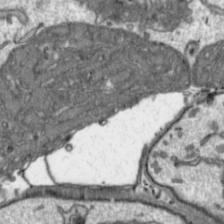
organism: Toxoplasma gondii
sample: Parasites in a vacuole inside a host cell